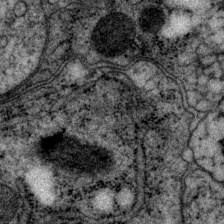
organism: P. pacificus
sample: Pharynx